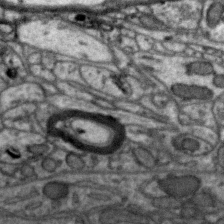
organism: Zebra finch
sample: Brain